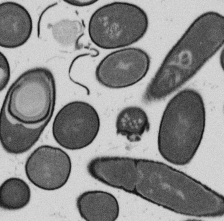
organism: B. subtilis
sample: Bacterial spore